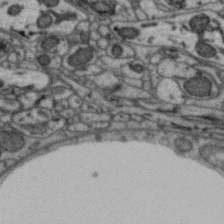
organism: Zebra finch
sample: Brain